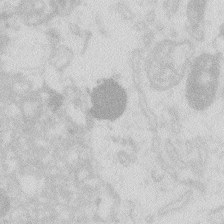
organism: Zebrafish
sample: Macrophage